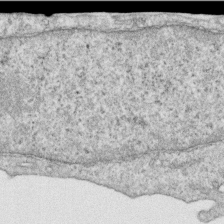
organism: Human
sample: Centriole in RPE cells